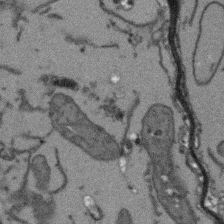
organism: Arabidopsis thaliana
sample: Root tip